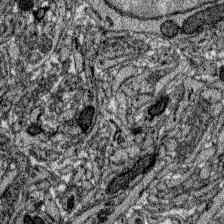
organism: Zebrafish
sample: Larval olfactory bulb